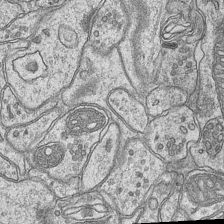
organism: Mouse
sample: CA1 Hippocampus